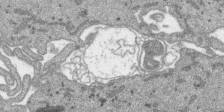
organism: Human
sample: Lung epithelial cells infected with SARS-CoV-2